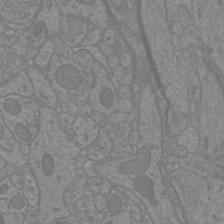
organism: Mouse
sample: Cortical neurons